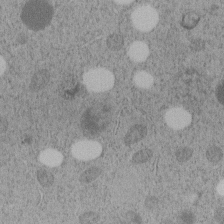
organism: C. elegans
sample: C. elegans embryo early stage